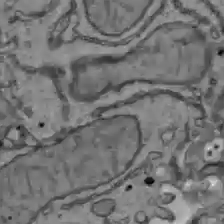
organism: C57BL Mouse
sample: Liver